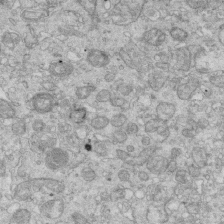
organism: Mouse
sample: Multiciliated cells